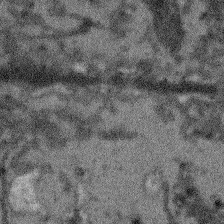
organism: Arabidopsis thaliana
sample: Root tip